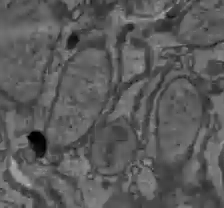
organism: C57BL Mouse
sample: Liver